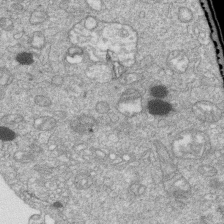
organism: Human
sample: HeLa cell HIV synapse